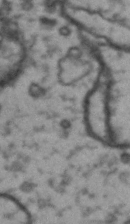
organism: Drosophila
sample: Brain